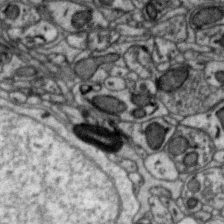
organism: Zebra finch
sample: Brain